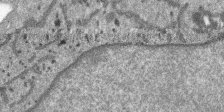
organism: Human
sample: Lung epithelial cells infected with SARS-CoV-2